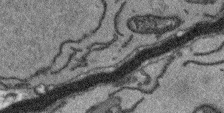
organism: Arabidopsis thaliana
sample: Root tip